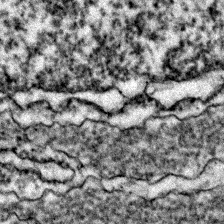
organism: Zebrafish